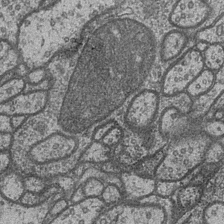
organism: Drosophila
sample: Optic medulla